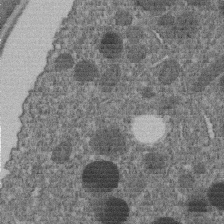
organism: C. elegans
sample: C. elegans embryo early stage